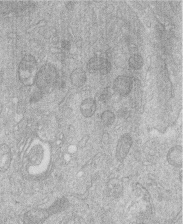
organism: Human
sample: Macrophage cells